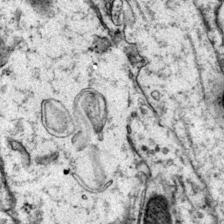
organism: Mouse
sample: Primary visual cortex